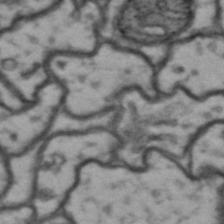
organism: Drosophila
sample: Brain